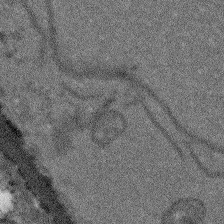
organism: Arabidopsis thaliana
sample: Root tip